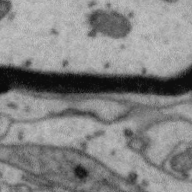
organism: Zebra finch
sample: Brain